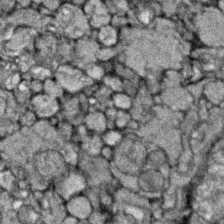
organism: Zebrafish